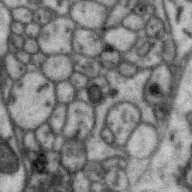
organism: Zebra finch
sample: Brain